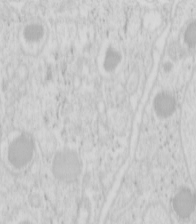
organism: Mouse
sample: Pancreas